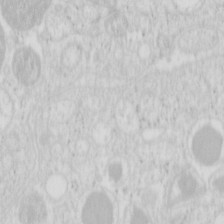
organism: Mouse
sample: Pancreas